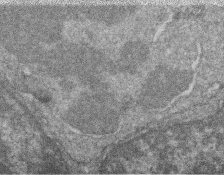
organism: Zebrafish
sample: Cilia; retinal pigment epithelium